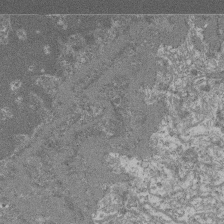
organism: Mouse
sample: Glomerulus